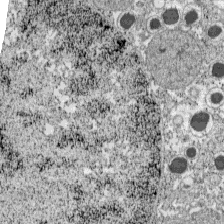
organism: C57BL Mouse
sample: Pancreatic islet